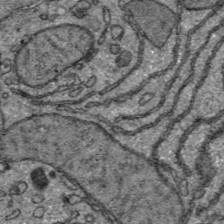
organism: C57BL Mouse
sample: Liver